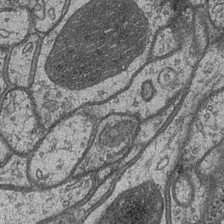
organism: Drosophila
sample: Optic medulla